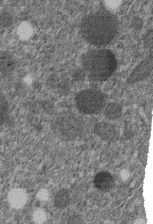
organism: C. elegans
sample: C. elegans embryo early stage